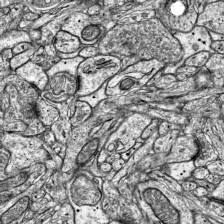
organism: Mouse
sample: Visual Cortex